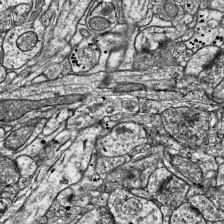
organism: Mouse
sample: Visual Cortex